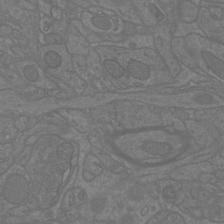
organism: Mouse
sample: Cortical neurons